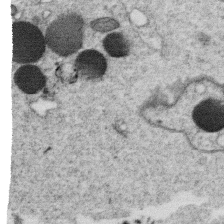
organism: C. elegans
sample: C. elegans oocyte; sperm cells